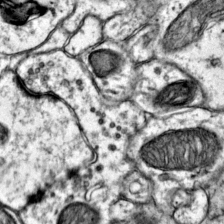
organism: Mouse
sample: Primary visual cortex